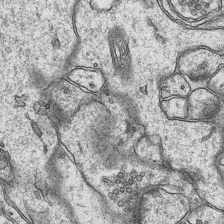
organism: Mouse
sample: CA1 Hippocampus